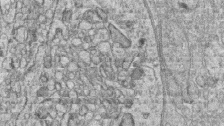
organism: Zebrafish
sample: synaptic ribbons in rod cells and cone cells